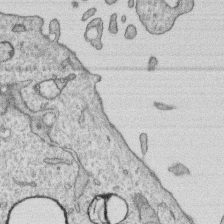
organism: Human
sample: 1205lu cells